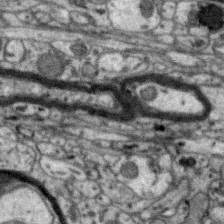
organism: Zebra finch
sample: Brain